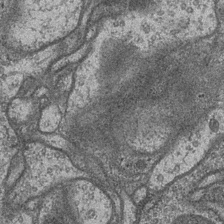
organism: Drosophila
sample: Optic medulla